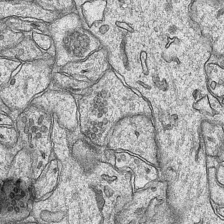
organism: Mouse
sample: CA1 Hippocampus